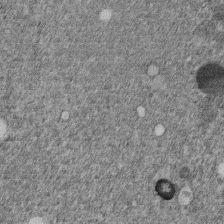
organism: C. elegans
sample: C. elegans embryo early stage